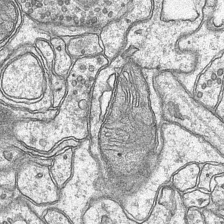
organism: Mouse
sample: CA1 Hippocampus